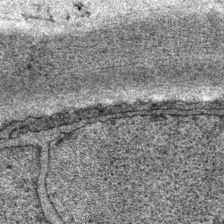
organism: P. pacificus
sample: Pharynx